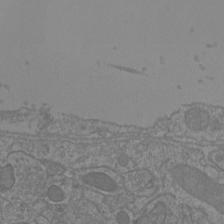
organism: Mouse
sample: Cortical neurons